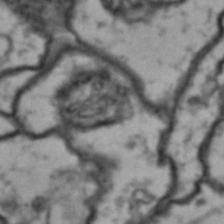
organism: Drosophila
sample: Brain